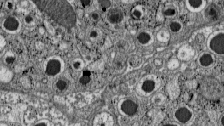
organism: C57BL Mouse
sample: Pancreatic islet